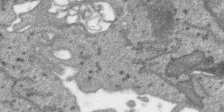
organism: Human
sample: Lung epithelial cells infected with SARS-CoV-2